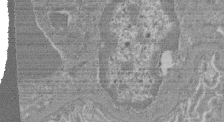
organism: Mouse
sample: Glomerulus